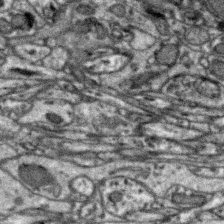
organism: Zebra finch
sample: Brain